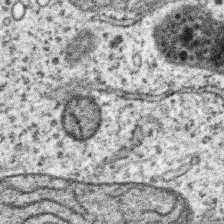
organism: Human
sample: HeLa cells